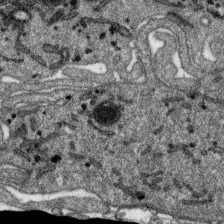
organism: Human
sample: Lung epithelial cells infected with SARS-CoV-2